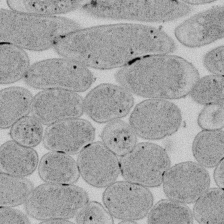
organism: E. coli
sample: Bacterial nucleoid